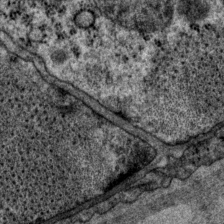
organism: P. pacificus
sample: Pharynx